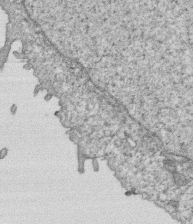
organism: Human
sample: HeLa cell HIV synapse